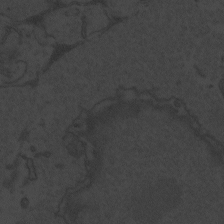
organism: Zebrafish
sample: Macrophage infected with Toxoplasma gondii